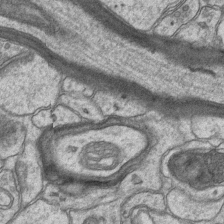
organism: Mouse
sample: CA1 Hippocampus